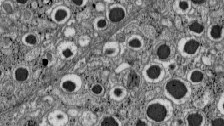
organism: C57BL Mouse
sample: Pancreatic islet